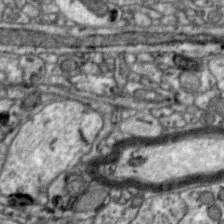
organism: Zebra finch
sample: Brain